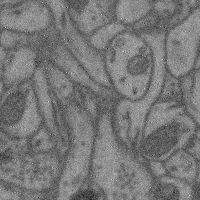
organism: Mouse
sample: Cerebral cortex